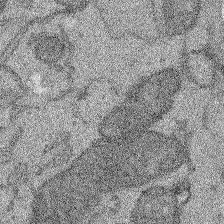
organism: Human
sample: HeLa cells